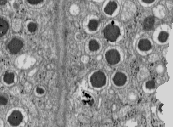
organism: C57BL Mouse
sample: Pancreatic islet